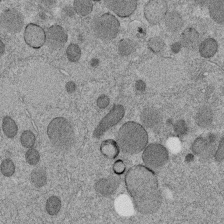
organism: C. elegans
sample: C. elegans embryo early stage